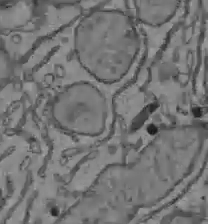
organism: C57BL Mouse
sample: Liver